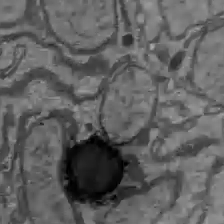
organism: C57BL Mouse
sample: Liver